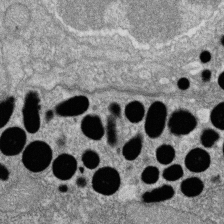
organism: Zebrafish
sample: Cilia; retinal pigment epithelium